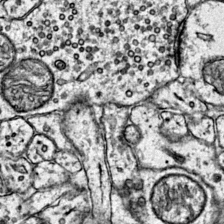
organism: Mouse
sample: Primary visual cortex